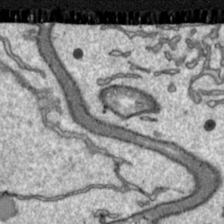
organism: Toxoplasma gondii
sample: Parasites in a vacuole inside a host cell